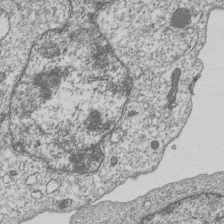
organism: Human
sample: MDA-MB-231 cells